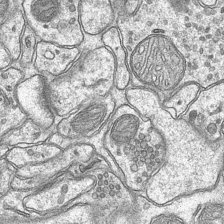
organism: Mouse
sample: CA1 Hippocampus